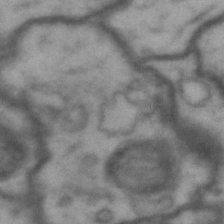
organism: Drosophila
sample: Brain